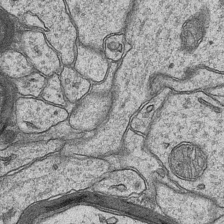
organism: Mouse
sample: CA1 Hippocampus